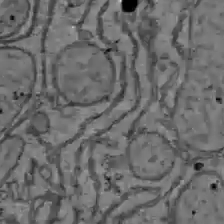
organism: C57BL Mouse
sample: Liver